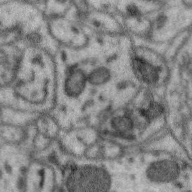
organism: Zebra finch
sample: Brain